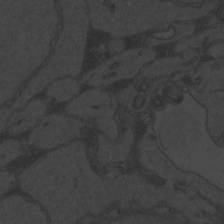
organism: Zebrafish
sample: Macrophage infected with Toxoplasma gondii